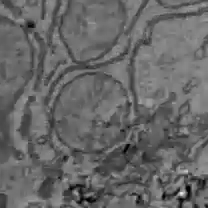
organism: C57BL Mouse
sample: Liver